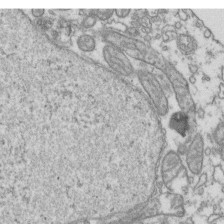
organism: Human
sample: Activated Jurkat CD4+ T cells